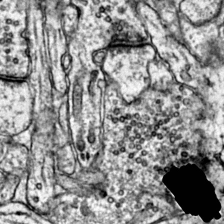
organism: Mouse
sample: Primary visual cortex